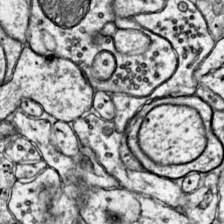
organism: Mouse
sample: Primary visual cortex